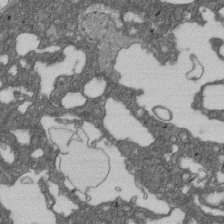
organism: Drosophila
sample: Nephrocyte